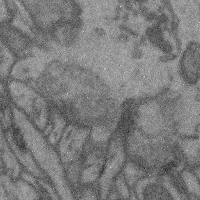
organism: Mouse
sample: Cerebral cortex